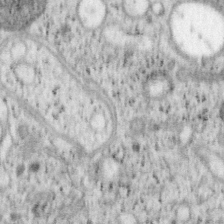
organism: Mouse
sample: OT-I killer T cells with ID8 ovarian cancer cells